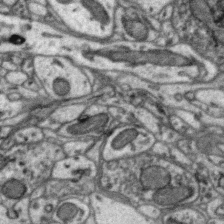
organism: Zebra finch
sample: Brain